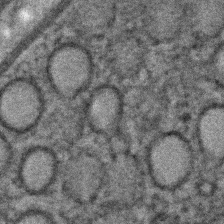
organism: C. elegans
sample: C. elegans embryo